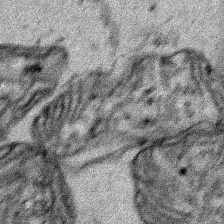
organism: Human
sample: Mitochondria in HCT116 cells